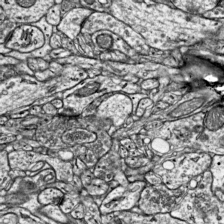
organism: Mouse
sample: Visual Cortex